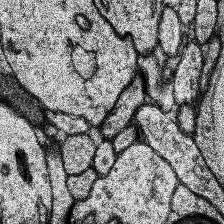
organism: Human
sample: Temporal Lobe